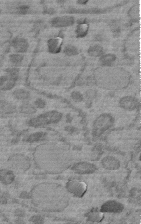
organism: C. elegans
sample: C. elegans embryo early stage